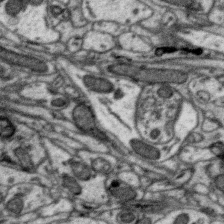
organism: Zebra finch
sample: Brain